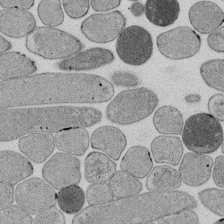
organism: E. coli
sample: Bacterial nucleoid